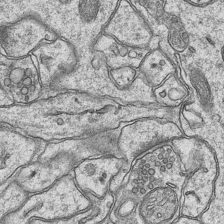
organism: Mouse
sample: CA1 Hippocampus